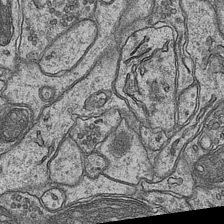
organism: Mouse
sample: CA1 Hippocampus